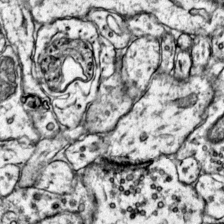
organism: Mouse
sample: Primary visual cortex